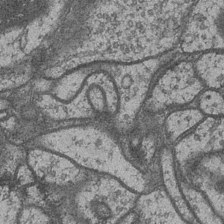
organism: Drosophila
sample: Optic medulla